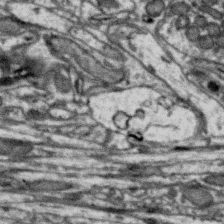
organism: Zebra finch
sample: Brain